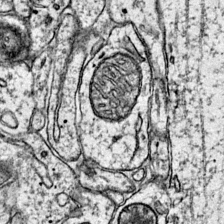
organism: Mouse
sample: Primary visual cortex